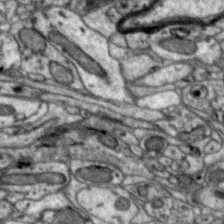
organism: Zebra finch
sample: Brain